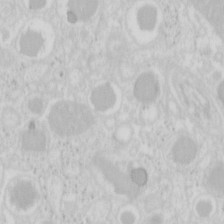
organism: Mouse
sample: Pancreas